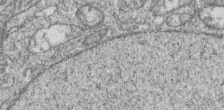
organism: Human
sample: HeLa cell HIV synapse